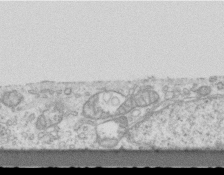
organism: Mouse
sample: Centriole in ependymal cells